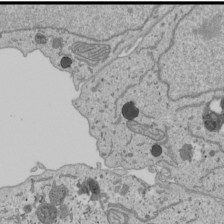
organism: Human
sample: Mitochondria in U2OS cells